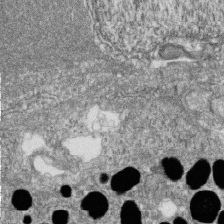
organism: Zebrafish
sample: Cilia; retinal pigment epithelium